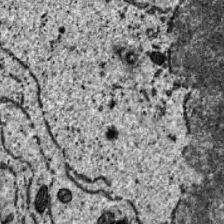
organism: Human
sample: HeLa cells